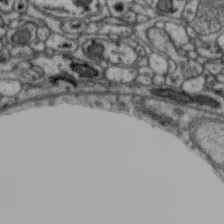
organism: Zebra finch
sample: Brain